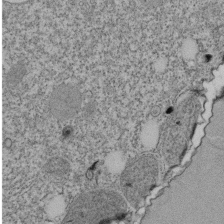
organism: Tetrahymena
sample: Cilia in tetrahymena